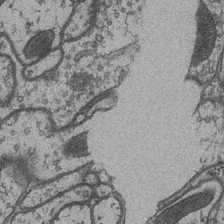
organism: Drosophila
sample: Optic medulla